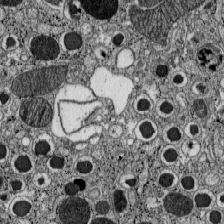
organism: C57BL Mouse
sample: Pancreatic islet